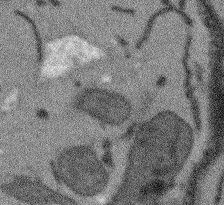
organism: Arabidopsis thaliana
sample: Root tip